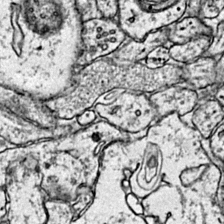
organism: Mouse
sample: Primary visual cortex